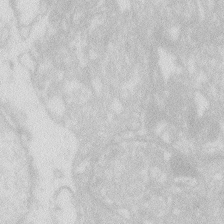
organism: Zebrafish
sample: Macrophage